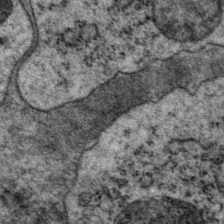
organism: P. pacificus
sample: Pharynx